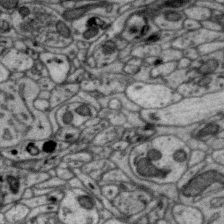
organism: Zebra finch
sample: Brain